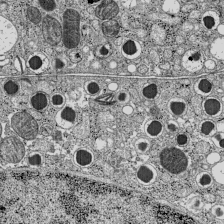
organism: C57BL Mouse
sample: Pancreatic islet